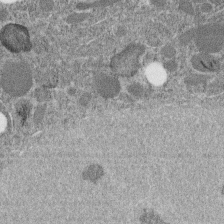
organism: C. elegans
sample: C. elegans embryo early stage